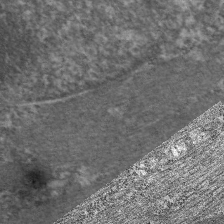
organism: C. elegans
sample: Pharynx